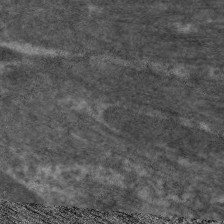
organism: C. elegans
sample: Pharynx